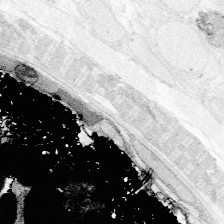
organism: Zebrafish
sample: Whole-Brain